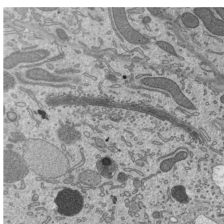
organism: Mouse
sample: Mouse epididymis efferent ductule cilia